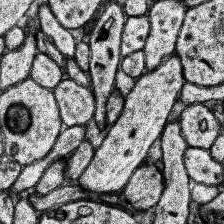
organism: Human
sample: Temporal Lobe